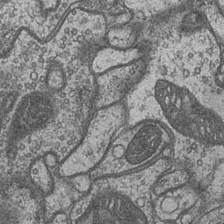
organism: Drosophila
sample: Optic medulla